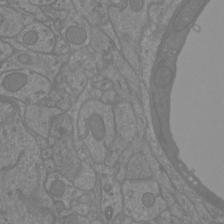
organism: Mouse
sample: Cortical neurons